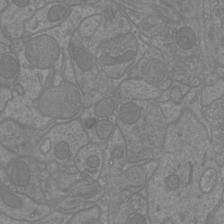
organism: Mouse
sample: Cortical neurons